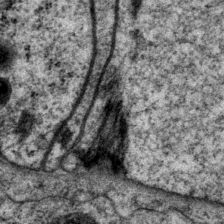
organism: P. pacificus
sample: Pharynx